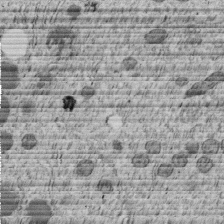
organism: C. elegans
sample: C. elegans embryo early stage